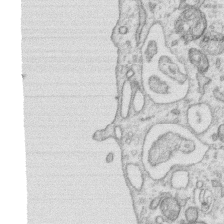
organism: Human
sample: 1205lu cells